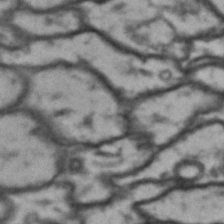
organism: Drosophila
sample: Brain